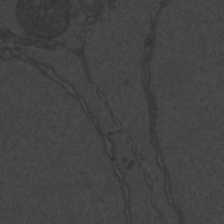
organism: Zebrafish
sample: Macrophage infected with Toxoplasma gondii